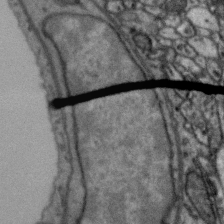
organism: Zebra finch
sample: Brain